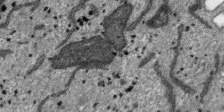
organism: Human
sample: Lung epithelial cells, uninfected (mock) control